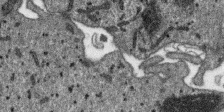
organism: Human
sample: Lung epithelial cells infected with SARS-CoV-2